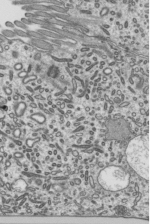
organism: Mouse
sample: Mouse epididymis efferent ductule cilia